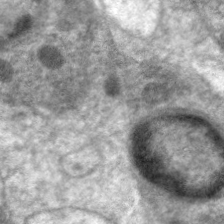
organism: C. elegans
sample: Pharynx